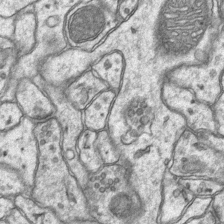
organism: Mouse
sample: CA1 Hippocampus